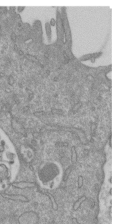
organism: Mouse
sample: ED-1 cell nuclei; centrioles